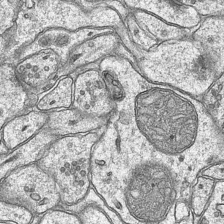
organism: Mouse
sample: CA1 Hippocampus